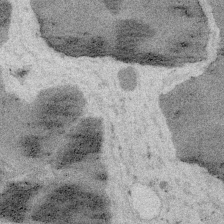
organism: Embia sp.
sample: Silk gland